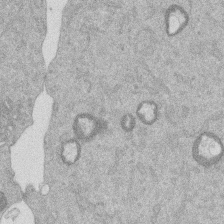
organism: Mouse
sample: Dividing mouse embryo 1 cell stage